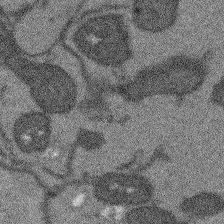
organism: Arabidopsis thaliana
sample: Root tip